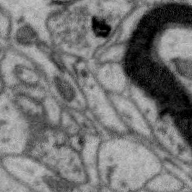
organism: Zebra finch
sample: Brain